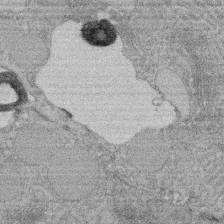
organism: Rat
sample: Salivary granule